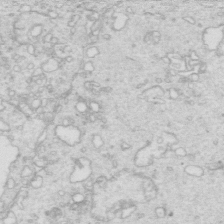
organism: Mouse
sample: Multiciliated cells